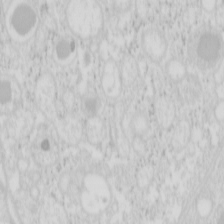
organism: Mouse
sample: Pancreas